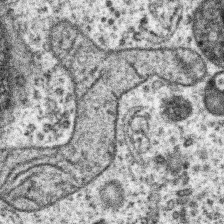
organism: Human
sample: HeLa cells